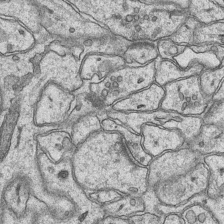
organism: Mouse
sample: CA1 Hippocampus